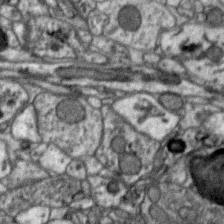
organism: Zebra finch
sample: Brain